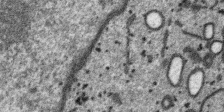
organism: Human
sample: Lung epithelial cells infected with SARS-CoV-2